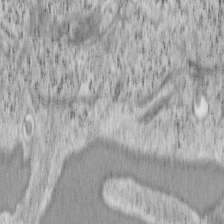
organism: Human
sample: HeLa cells